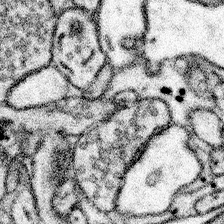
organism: Mouse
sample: Somatosensory cortex neuropil